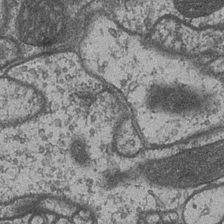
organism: Drosophila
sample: Optic medulla